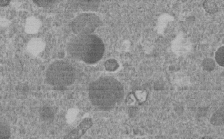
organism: C. elegans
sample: C. elegans embryo early stage